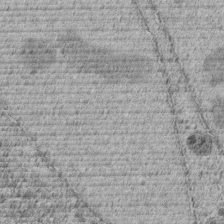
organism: C. elegans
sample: C. elegans embryo early stage